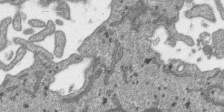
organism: Human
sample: Lung epithelial cells infected with SARS-CoV-2